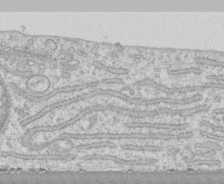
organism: Human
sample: CRL-1474